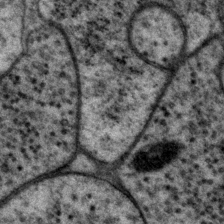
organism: P. pacificus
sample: Pharynx